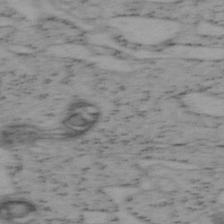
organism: Mouse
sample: OT-I killer T cells with ID8 ovarian cancer cells